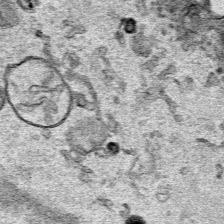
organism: Human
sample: Mitochondria in HCT116 cells